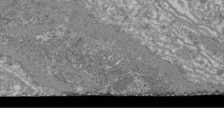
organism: Mouse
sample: Glomerulus